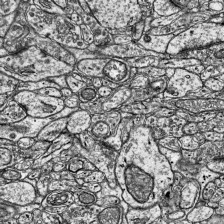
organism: Mouse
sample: Visual Cortex